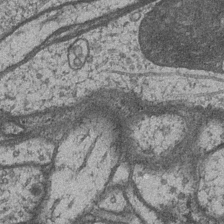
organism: Drosophila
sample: Optic medulla